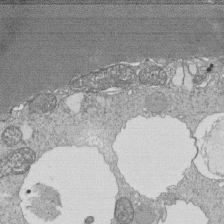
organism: Tetrahymena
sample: Cilia in tetrahymena